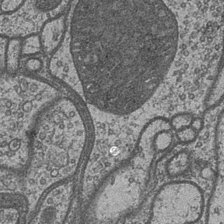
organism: Drosophila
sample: Optic medulla